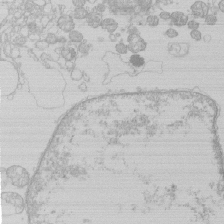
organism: Human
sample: Macrophage cells